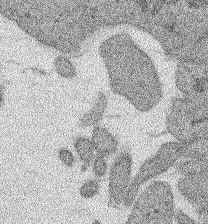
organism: Human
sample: HeLa cells